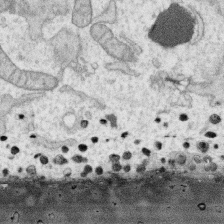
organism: Human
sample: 1205lu cells